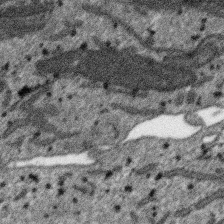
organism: Human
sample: Lung epithelial cells infected with SARS-CoV-2